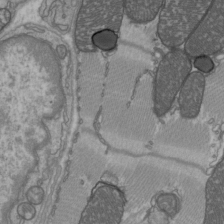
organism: C57BL Mouse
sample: Heart